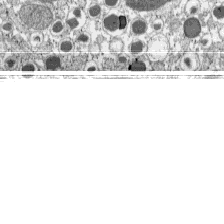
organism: C57BL Mouse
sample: Pancreatic islet